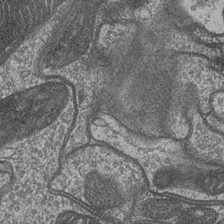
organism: Drosophila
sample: Optic medulla